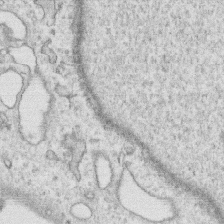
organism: Human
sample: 1205lu cells